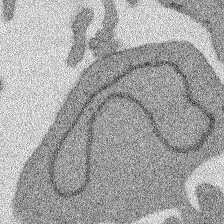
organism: Human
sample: HeLa cells